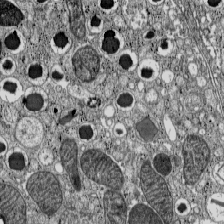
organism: C57BL Mouse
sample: Pancreatic islet